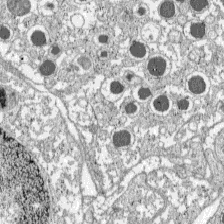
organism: C57BL Mouse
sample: Pancreatic islet